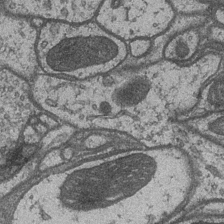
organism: Drosophila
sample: Optic medulla